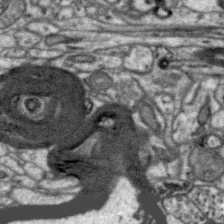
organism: Zebra finch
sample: Brain